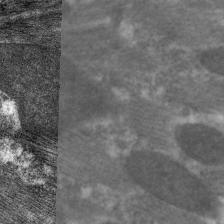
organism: C. elegans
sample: Pharynx